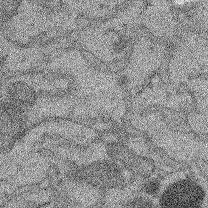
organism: Human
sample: HeLa cells